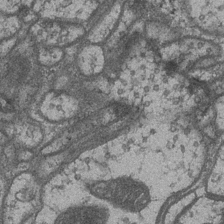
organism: Drosophila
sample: Optic medulla